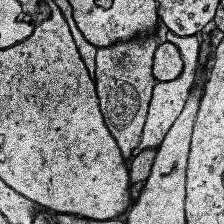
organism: Human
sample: Temporal Lobe